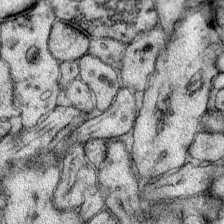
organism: Mouse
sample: Primary visual cortex